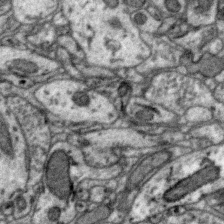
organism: Zebra finch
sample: Brain